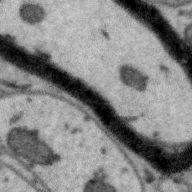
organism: Zebra finch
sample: Brain